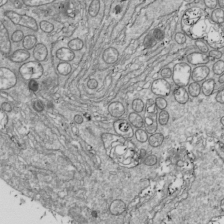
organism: Drosophila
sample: Cell division; meiosis; drosophila spermatocytes